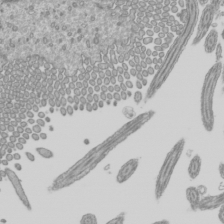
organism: Mouse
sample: Cilia; mouse epididymis